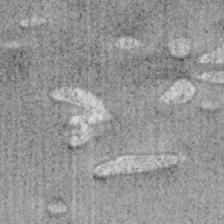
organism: Mouse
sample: OT-I killer T cells with ID8 ovarian cancer cells